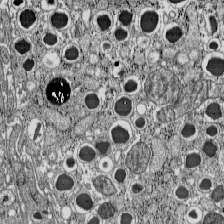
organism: C57BL Mouse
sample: Pancreatic islet